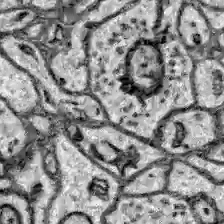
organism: Zebrafish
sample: Brain